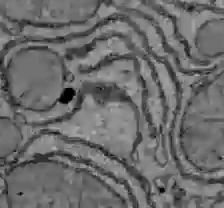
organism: C57BL Mouse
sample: Liver